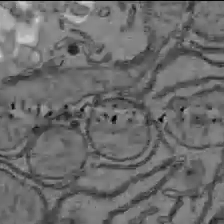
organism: C57BL Mouse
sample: Liver